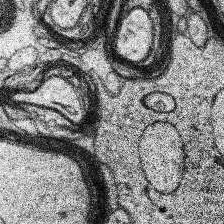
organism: Human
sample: Temporal Lobe